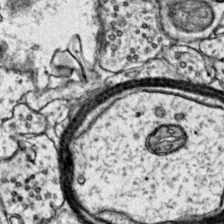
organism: Mouse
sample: Primary visual cortex